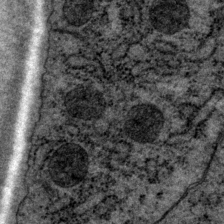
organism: P. pacificus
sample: Pharynx